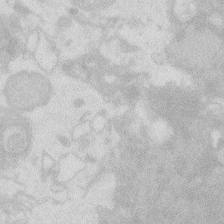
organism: Zebrafish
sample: Macrophage